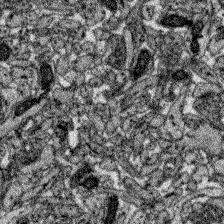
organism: Zebrafish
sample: Larval olfactory bulb